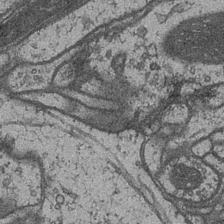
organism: Drosophila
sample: Optic medulla